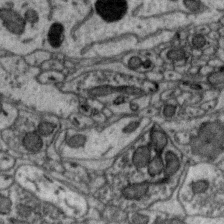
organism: Zebra finch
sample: Brain